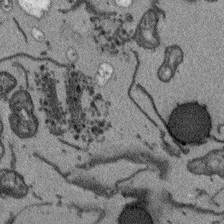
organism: Arabidopsis thaliana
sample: Root tip